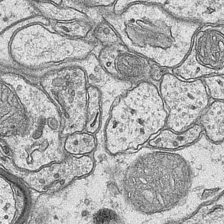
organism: Mouse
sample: CA1 Hippocampus